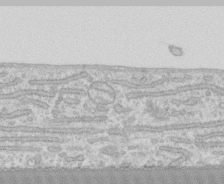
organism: Human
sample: CRL-1474